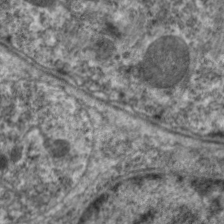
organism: C. elegans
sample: Pharynx